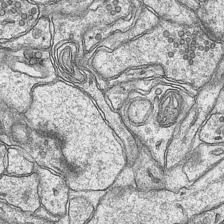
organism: Mouse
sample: CA1 Hippocampus